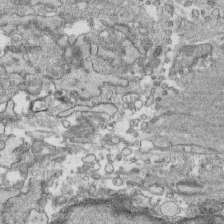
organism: Human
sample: CRL-1474